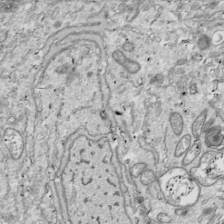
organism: Drosophila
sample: Cell division; meiosis; drosophila spermatocytes